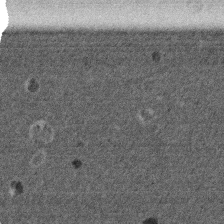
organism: Mouse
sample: Dividing mouse embryo 1 cell stage